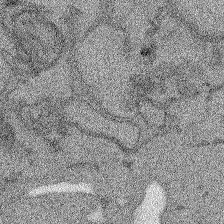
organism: Human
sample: HeLa cells